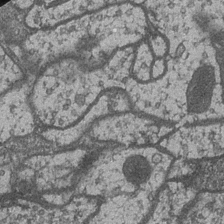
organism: Drosophila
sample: Optic medulla